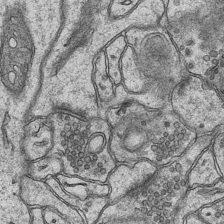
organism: Mouse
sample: CA1 Hippocampus